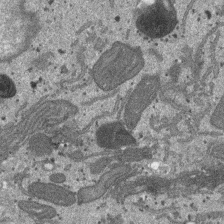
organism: Human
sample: Lung epithelial cells infected with SARS-CoV-2